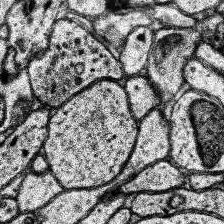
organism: Human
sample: Temporal Lobe